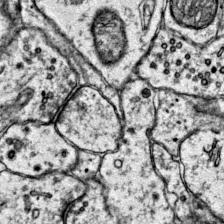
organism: Mouse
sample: Primary visual cortex